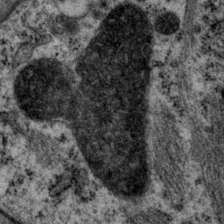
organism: P. pacificus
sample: Pharynx